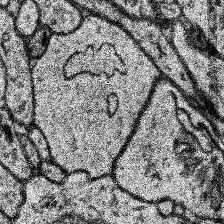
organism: Human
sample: Temporal Lobe